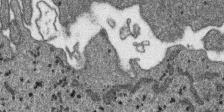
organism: Human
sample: Lung epithelial cells infected with SARS-CoV-2